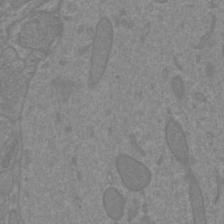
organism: Mouse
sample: Cortical neurons